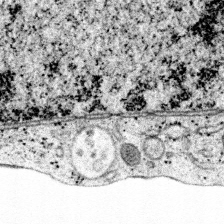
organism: Human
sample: HeLa cells